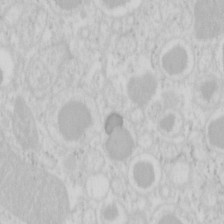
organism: Mouse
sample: Pancreas